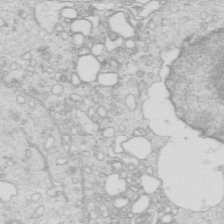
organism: Mouse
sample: Multiciliated cells